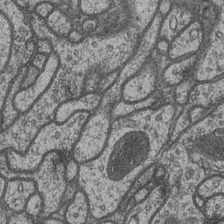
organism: Drosophila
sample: Optic medulla